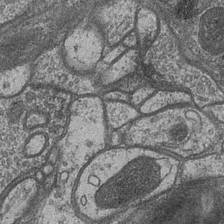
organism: Drosophila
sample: Optic medulla